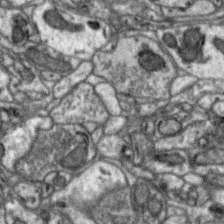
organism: Zebra finch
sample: Brain